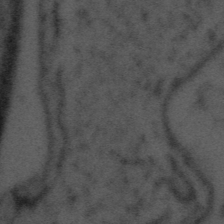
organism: Tuwongella immobilis